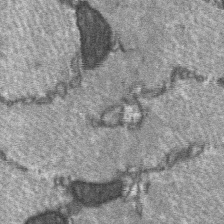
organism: C57BL Mouse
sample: Soleus